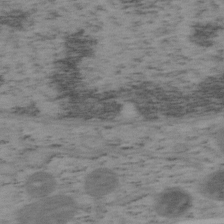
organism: Mouse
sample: OT-I killer T cells with ID8 ovarian cancer cells